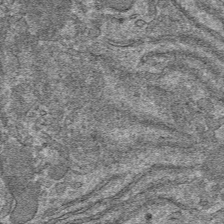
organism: Mouse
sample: Mouse hepatocytes